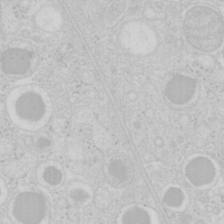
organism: Mouse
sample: Pancreas